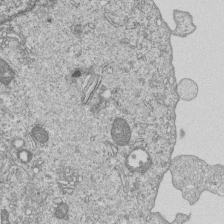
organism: Human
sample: MDA-MB-231 cells